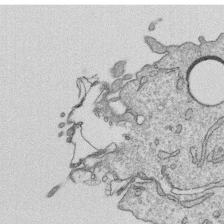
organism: Human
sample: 1205lu cells